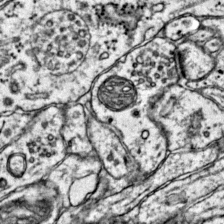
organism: Mouse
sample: Primary visual cortex